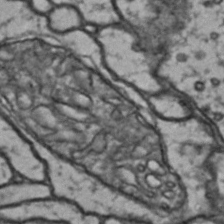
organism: Drosophila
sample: Brain